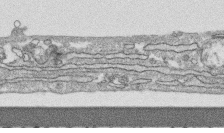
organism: Human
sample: CRL-1474